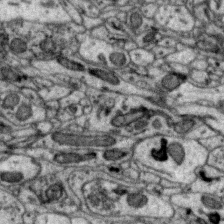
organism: Zebra finch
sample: Brain